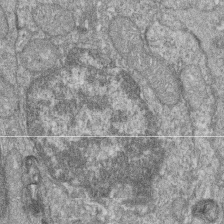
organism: Zebrafish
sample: Cilia; retinal pigment epithelium